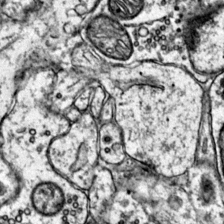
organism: Mouse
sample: Primary visual cortex